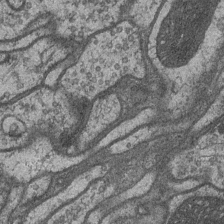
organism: Drosophila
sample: Optic medulla